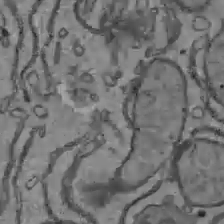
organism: C57BL Mouse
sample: Liver